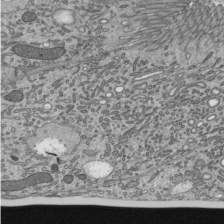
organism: Mouse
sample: Mouse epididymis efferent ductule cilia